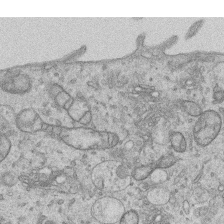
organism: Human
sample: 1205lu cells